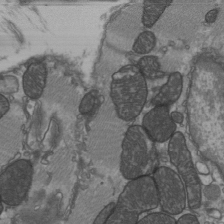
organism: C57BL Mouse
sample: Heart